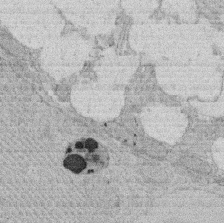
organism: Rat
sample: Salivary granule